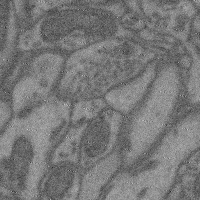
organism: Mouse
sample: Cerebral cortex